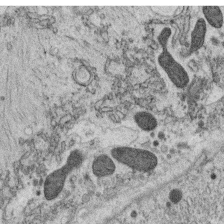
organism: C. elegans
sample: C. elegans oocyte; sperm cells